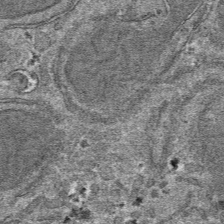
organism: Mouse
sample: Mouse hepatocytes